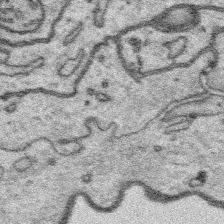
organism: Platynereis dumerilii